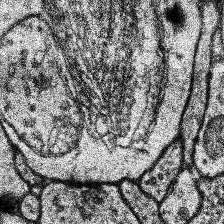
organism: Human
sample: Temporal Lobe